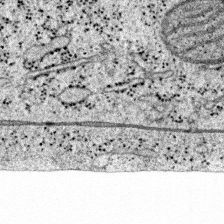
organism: Human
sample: HeLa cells